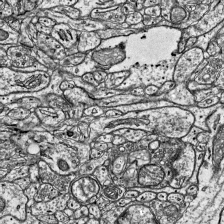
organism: Mouse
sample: Visual Cortex